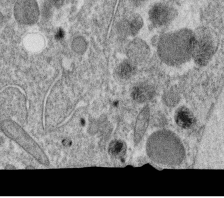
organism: C. elegans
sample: C. elegans oocyte; sperm cells